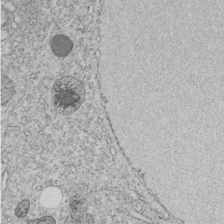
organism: C. elegans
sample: C. elegans embryo early stage